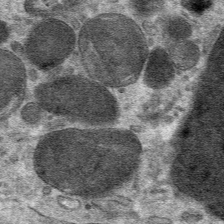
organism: Mouse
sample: Mouse hepatocytes